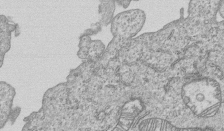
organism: Human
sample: MDA-MB-231 cells